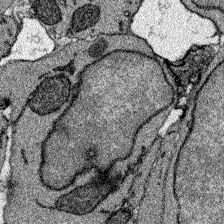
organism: Zebrafish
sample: Larval olfactory bulb